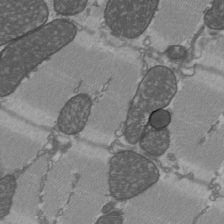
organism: C57BL Mouse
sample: Heart